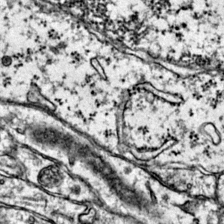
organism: Mouse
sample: Primary visual cortex